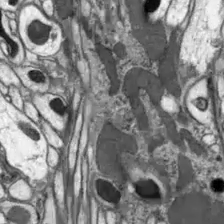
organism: Drosophila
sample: Optic lobe